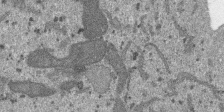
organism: Human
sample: Lung epithelial cells infected with SARS-CoV-2